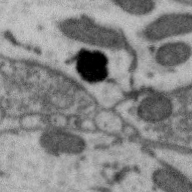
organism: Zebra finch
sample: Brain